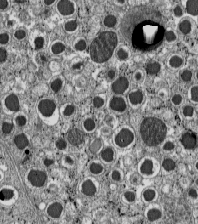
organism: C57BL Mouse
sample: Pancreatic islet